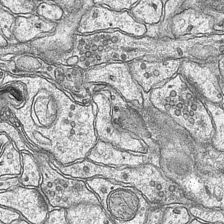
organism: Mouse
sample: CA1 Hippocampus